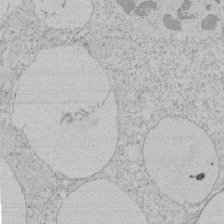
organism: Tetrahymena